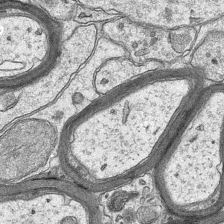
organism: Mouse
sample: CA1 Hippocampus